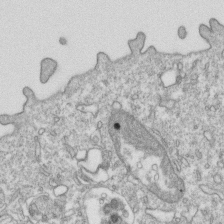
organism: Mouse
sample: Activated OT-1 CD8+ T cells